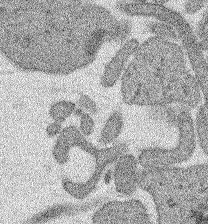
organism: Human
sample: HeLa cells